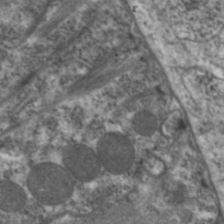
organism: C. elegans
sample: Pharynx